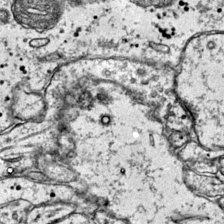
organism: Mouse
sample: Primary visual cortex